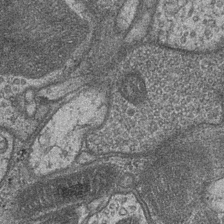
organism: Drosophila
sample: Optic medulla